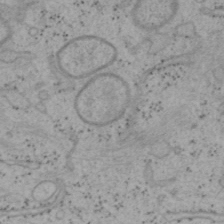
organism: Human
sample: HeLa cells